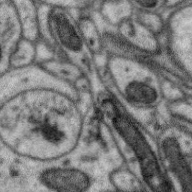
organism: Zebra finch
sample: Brain